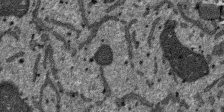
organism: Human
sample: Lung epithelial cells infected with SARS-CoV-2